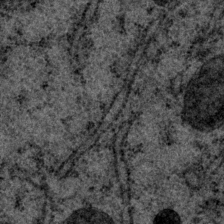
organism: P. pacificus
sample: Pharynx